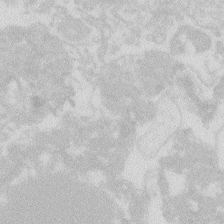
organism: Zebrafish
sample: Macrophage